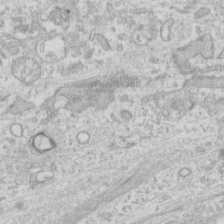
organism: Human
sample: Fibroblast cells